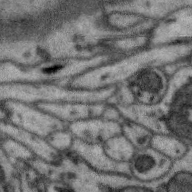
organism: Zebra finch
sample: Brain